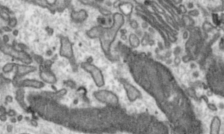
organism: Toxoplasma gondii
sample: Parasites in a vacuole inside a host cell